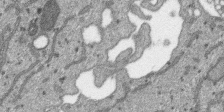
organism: Human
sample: Lung epithelial cells infected with SARS-CoV-2